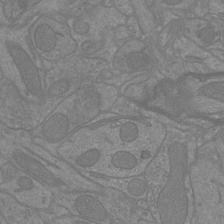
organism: Mouse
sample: Cortical neurons